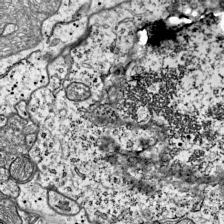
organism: Mouse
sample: Visual Cortex